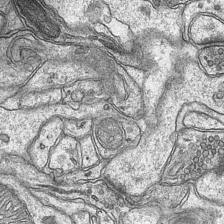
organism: Mouse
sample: CA1 Hippocampus